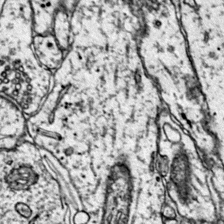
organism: Mouse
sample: Primary visual cortex